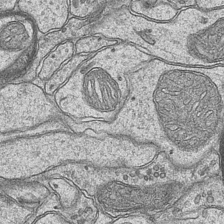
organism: Mouse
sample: CA1 Hippocampus